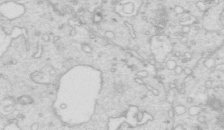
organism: Mouse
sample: Multiciliated cells